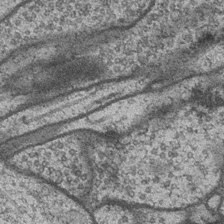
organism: Drosophila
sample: Optic medulla